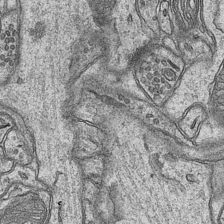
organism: Mouse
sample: CA1 Hippocampus